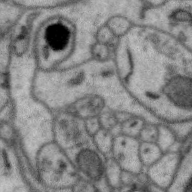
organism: Zebra finch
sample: Brain